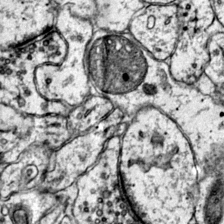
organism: Mouse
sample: Primary visual cortex